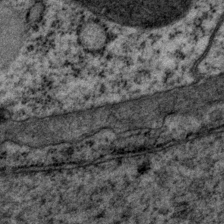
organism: P. pacificus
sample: Pharynx